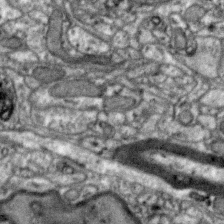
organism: Zebra finch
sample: Brain